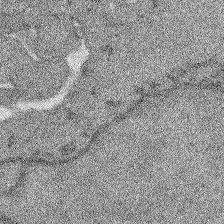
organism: Human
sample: HeLa cells